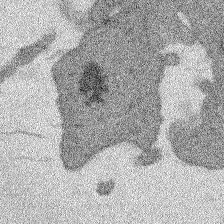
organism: Human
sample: HeLa cells